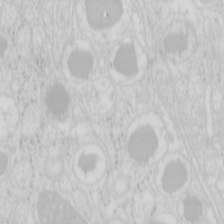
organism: Mouse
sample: Pancreas